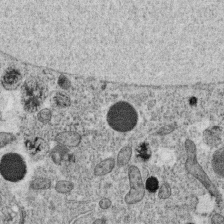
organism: C. elegans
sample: C. elegans oocyte; sperm cells